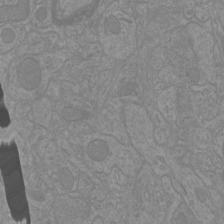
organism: Mouse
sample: Cortical neurons